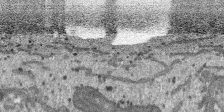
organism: Human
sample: Lung epithelial cells infected with SARS-CoV-2